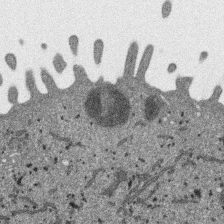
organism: Human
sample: Lung epithelial cells infected with SARS-CoV-2